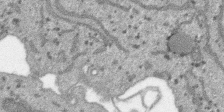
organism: Human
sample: Lung epithelial cells infected with SARS-CoV-2